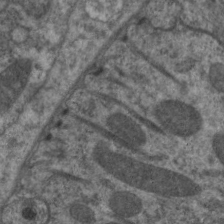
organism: C. elegans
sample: Pharynx